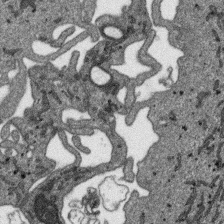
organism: Human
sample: Lung epithelial cells infected with SARS-CoV-2